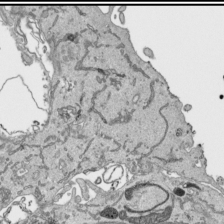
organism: Human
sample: Mitochondria in HCT116 cells